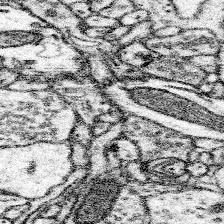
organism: Mouse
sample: Somatosensory cortex neuropil